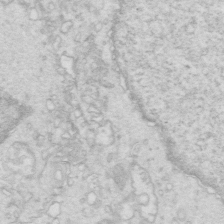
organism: Mouse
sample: Multiciliated cells